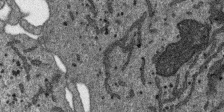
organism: Human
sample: Lung epithelial cells infected with SARS-CoV-2